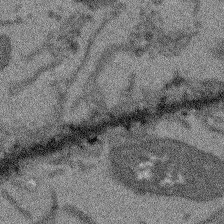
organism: Arabidopsis thaliana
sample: Root tip